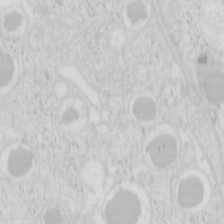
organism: Mouse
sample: Pancreas